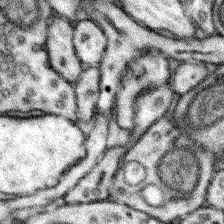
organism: Mouse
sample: Somatosensory cortex neuropil